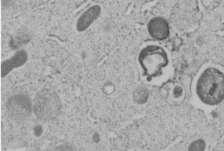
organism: C. elegans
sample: C. elegans embryo early stage